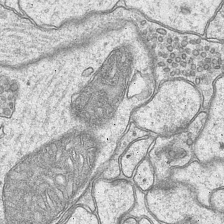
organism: Mouse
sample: CA1 Hippocampus